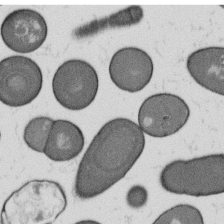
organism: B. subtilis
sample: Bacterial spore